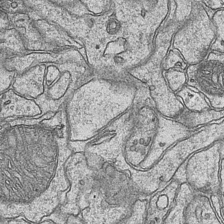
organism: Mouse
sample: CA1 Hippocampus